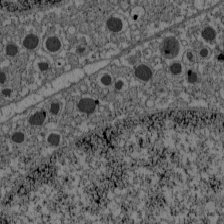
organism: C57BL Mouse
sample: Pancreatic islet